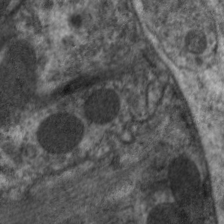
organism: C. elegans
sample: Pharynx